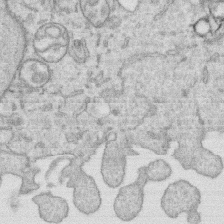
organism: Human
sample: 1205lu cells